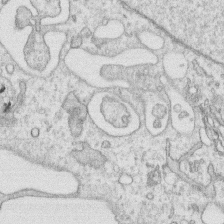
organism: Human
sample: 1205lu cells